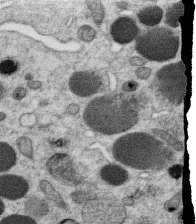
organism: C. elegans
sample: C. elegans oocyte; sperm cells